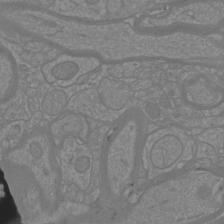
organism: Mouse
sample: Cortical neurons